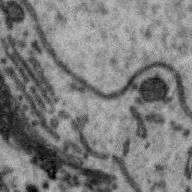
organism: Zebra finch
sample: Brain